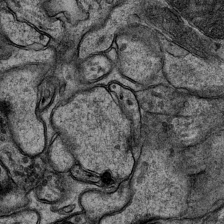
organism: Mouse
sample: CA1 Hippocampus